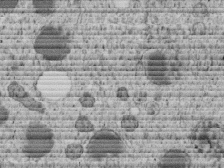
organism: C. elegans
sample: C. elegans embryo early stage